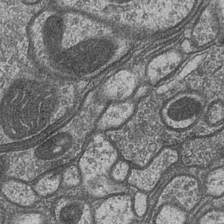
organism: Drosophila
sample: Optic medulla